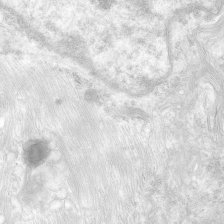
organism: Human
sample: Neocortex